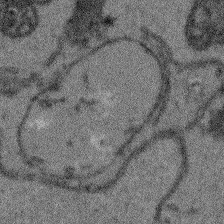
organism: Arabidopsis thaliana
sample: Root tip